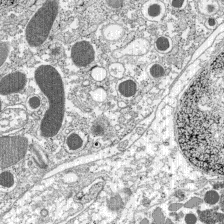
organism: C57BL Mouse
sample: Pancreatic islet